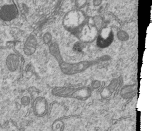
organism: Human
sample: MDA-MB-231 cells